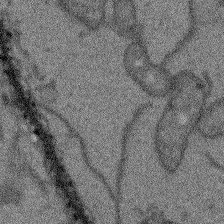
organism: Arabidopsis thaliana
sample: Root tip